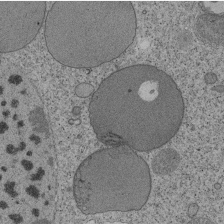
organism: Tetrahymena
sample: Cilia in tetrahymena